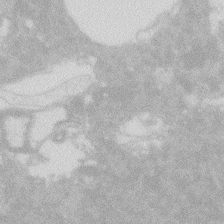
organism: Zebrafish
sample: Macrophage